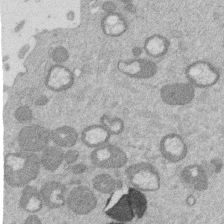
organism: Mouse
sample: Dividing mouse embryo 1 cell stage